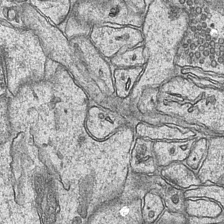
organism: Mouse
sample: CA1 Hippocampus